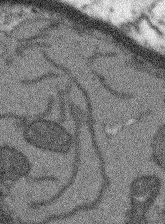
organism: Arabidopsis thaliana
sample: Root tip